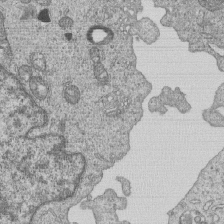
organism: Human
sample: MDA-MB-231 cells